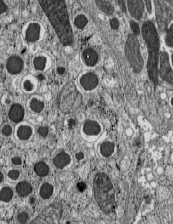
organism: C57BL Mouse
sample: Pancreatic islet